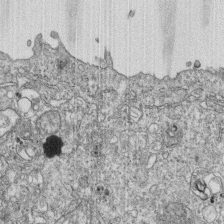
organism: Human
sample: HeLa cell HIV synapse